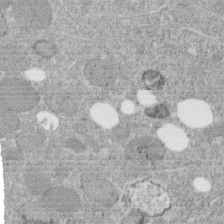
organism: C. elegans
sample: C. elegans embryo early stage